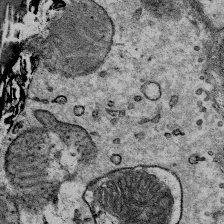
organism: Mouse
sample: Mouse Salivary gland